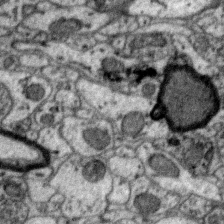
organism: Zebra finch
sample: Brain